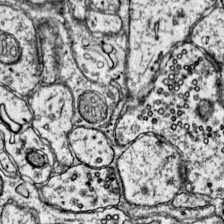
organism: Mouse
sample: Primary visual cortex